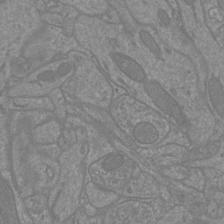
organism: Mouse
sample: Cortical neurons